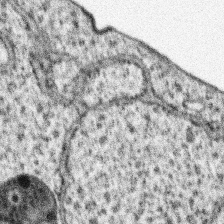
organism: Human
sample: HeLa cells